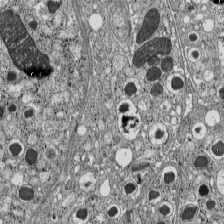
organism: C57BL Mouse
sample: Pancreatic islet